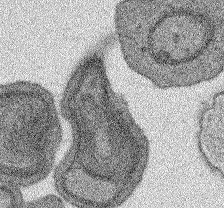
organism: Human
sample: HeLa cells